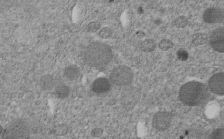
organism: C. elegans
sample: C. elegans embryo early stage